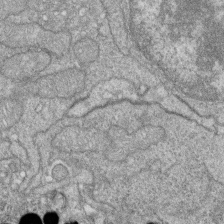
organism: Zebrafish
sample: Cilia; retinal pigment epithelium